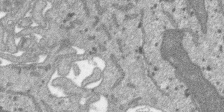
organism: Human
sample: Lung epithelial cells infected with SARS-CoV-2